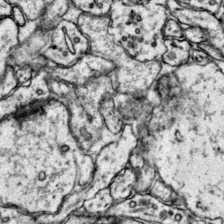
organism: Mouse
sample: Primary visual cortex